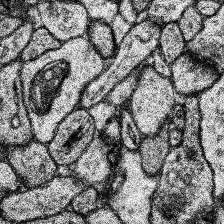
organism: Human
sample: Temporal Lobe